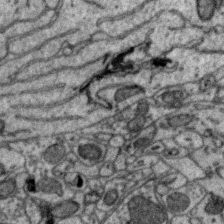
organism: Zebra finch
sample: Brain